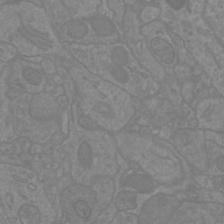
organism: Mouse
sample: Cortical neurons